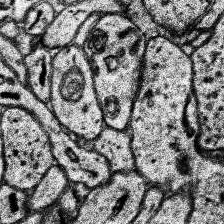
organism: Human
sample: Temporal Lobe